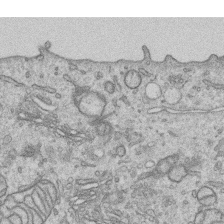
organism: Human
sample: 1205lu cells